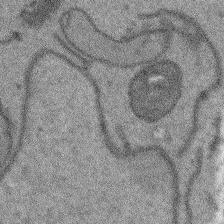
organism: Arabidopsis thaliana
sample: Root tip